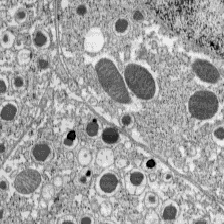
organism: C57BL Mouse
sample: Pancreatic islet